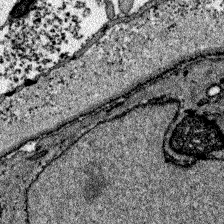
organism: Zebrafish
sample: Larval olfactory bulb